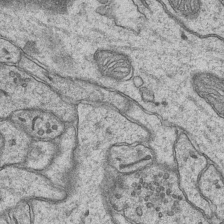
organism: Mouse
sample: CA1 Hippocampus